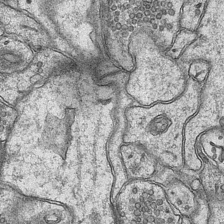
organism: Mouse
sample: CA1 Hippocampus